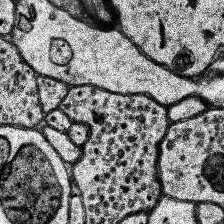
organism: Human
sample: Temporal Lobe